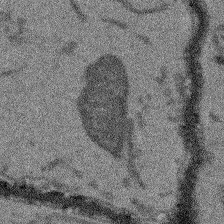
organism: Arabidopsis thaliana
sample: Root tip